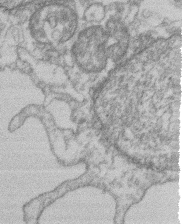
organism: Mouse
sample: T cell stromal cell synapse